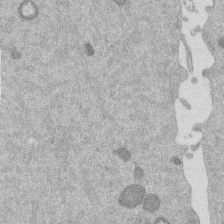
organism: Mouse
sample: Dividing mouse embryo 1 cell stage